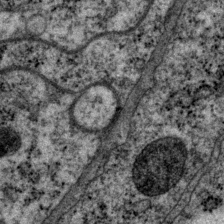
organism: P. pacificus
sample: Pharynx